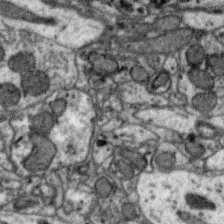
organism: Zebra finch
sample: Brain